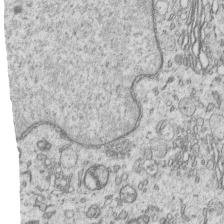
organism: Human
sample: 1205lu cells